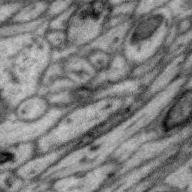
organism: Zebra finch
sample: Brain